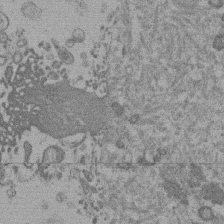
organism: Mouse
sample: Dividing mouse embryo 1 cell stage